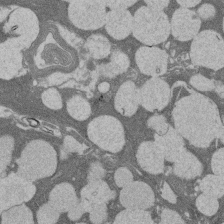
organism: Rat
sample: Salivary granule